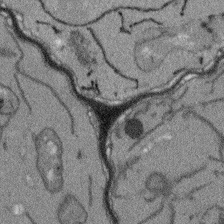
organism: Arabidopsis thaliana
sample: Root tip